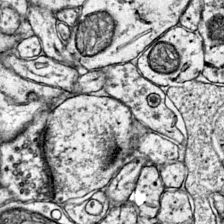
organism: Mouse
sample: Primary visual cortex